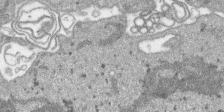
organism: Human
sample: Lung epithelial cells infected with SARS-CoV-2